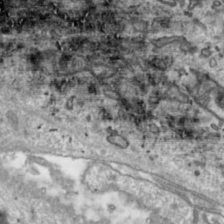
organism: Toxoplasma gondii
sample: Parasites in a vacuole inside a host cell